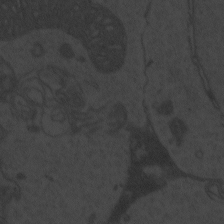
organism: Zebrafish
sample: Macrophage infected with Toxoplasma gondii